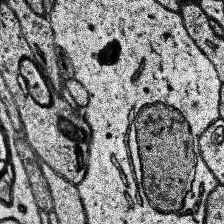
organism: Human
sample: Temporal Lobe